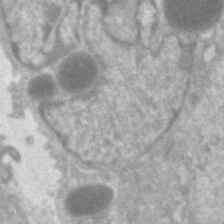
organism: Human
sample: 1205lu cells